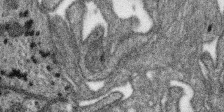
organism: Human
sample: Lung epithelial cells infected with SARS-CoV-2